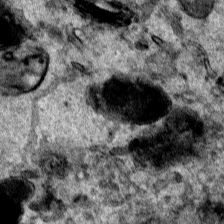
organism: Human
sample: Mitochondria in HCT116 cells